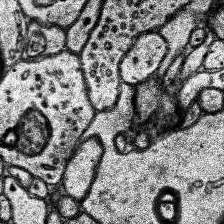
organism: Human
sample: Temporal Lobe